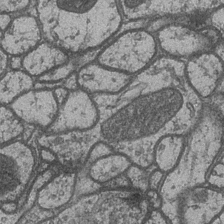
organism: Drosophila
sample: Optic medulla